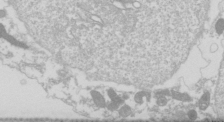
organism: Drosophila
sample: Cell division; meiosis; drosophila spermatocytes